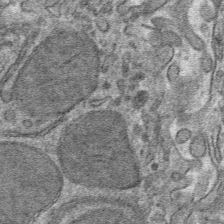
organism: Mouse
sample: Mouse hepatocytes